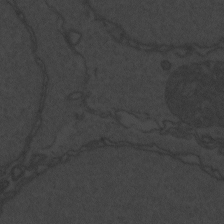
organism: Zebrafish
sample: Macrophage infected with Toxoplasma gondii